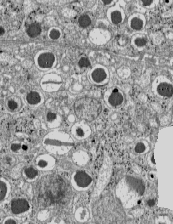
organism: C57BL Mouse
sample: Pancreatic islet